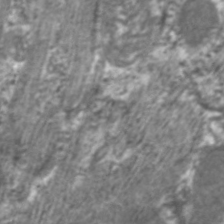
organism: C. elegans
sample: Pharynx